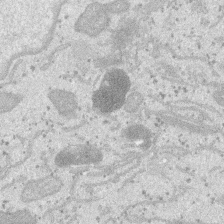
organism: Human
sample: Lung epithelial cells infected with SARS-CoV-2